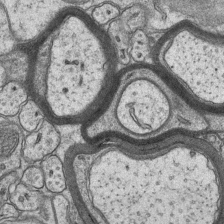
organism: Mouse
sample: CA1 Hippocampus